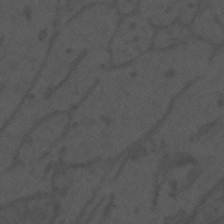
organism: Mouse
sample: Suprachiasmatic nucleus